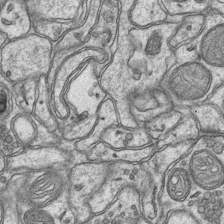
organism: Mouse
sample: CA1 Hippocampus